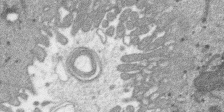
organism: Human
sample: Lung epithelial cells infected with SARS-CoV-2